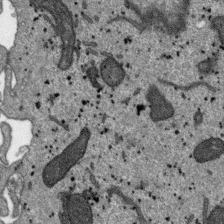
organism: Human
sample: Lung epithelial cells, uninfected (mock) control